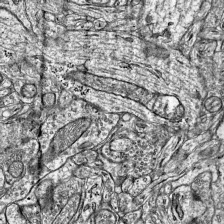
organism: Mouse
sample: Visual Cortex